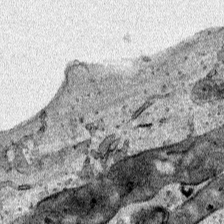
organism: Human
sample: Mitochondria in HCT116 cells